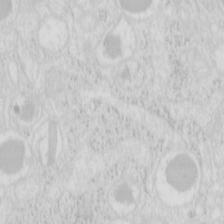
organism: Mouse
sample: Pancreas